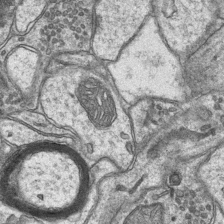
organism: Mouse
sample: CA1 Hippocampus